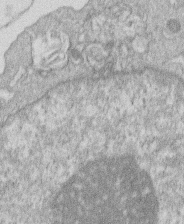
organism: Human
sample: Macrophage cells